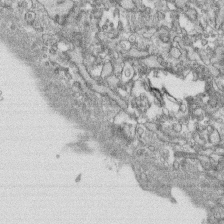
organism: Human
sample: CRL-1474